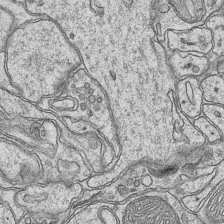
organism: Mouse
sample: CA1 Hippocampus